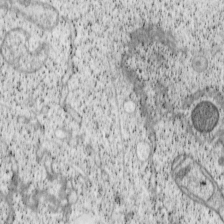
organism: African green monkey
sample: COS-7 cells